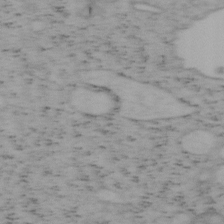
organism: Mouse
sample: OT-I killer T cells with ID8 ovarian cancer cells